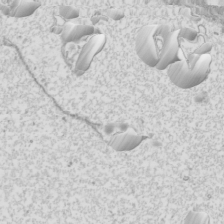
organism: Mouse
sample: Cilia; mouse epididymis